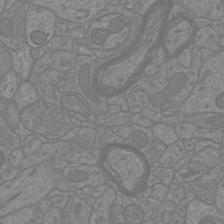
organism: Mouse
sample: Cortical neurons